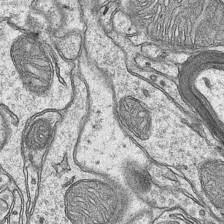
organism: Mouse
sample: CA1 Hippocampus